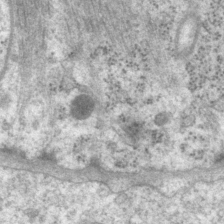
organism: P. pacificus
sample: Pharynx